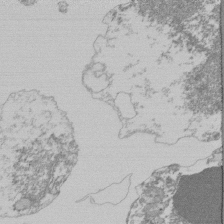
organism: Mouse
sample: Activated Pmel transgenic CD8+ T Cells